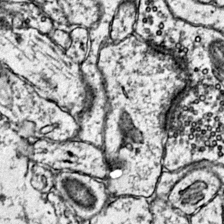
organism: Mouse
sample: Primary visual cortex